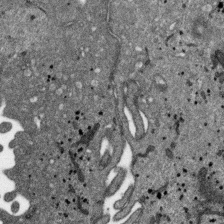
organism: Human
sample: Lung epithelial cells, uninfected (mock) control